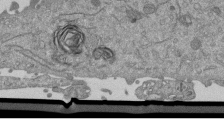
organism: Mouse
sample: ED-1 cell nuclei; centrioles